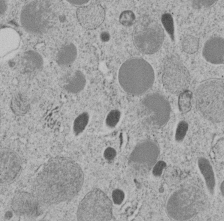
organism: C. elegans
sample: C. elegans embryo early stage